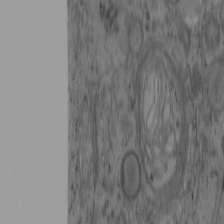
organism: Human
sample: HeLa cells